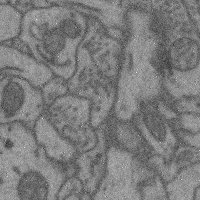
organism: Mouse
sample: Cerebral cortex